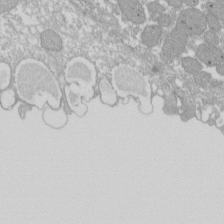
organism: Xenopus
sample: Cilia; centrioles in frog embryo cells